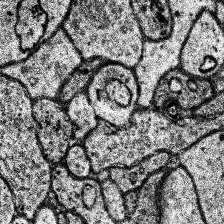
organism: Human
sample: Temporal Lobe